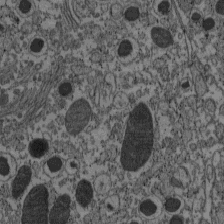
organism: C57BL Mouse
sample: Pancreatic islet